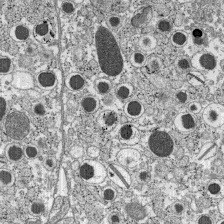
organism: C57BL Mouse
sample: Pancreatic islet